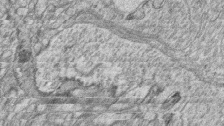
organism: Zebrafish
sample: synaptic ribbons in rod cells and cone cells